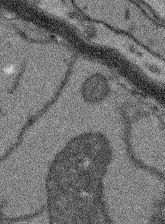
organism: Arabidopsis thaliana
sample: Root tip